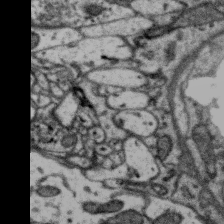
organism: Zebra finch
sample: Brain